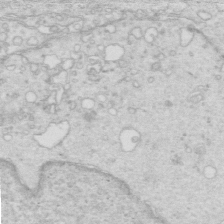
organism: Mouse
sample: Multiciliated cells